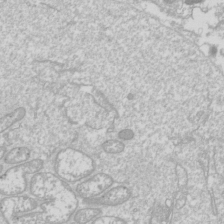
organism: Drosophila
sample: Cell division; meiosis; drosophila spermatocytes